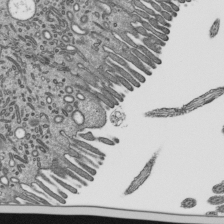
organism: Mouse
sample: Mouse epididymis efferent ductule cilia